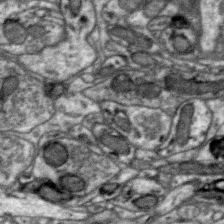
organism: Zebra finch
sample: Brain